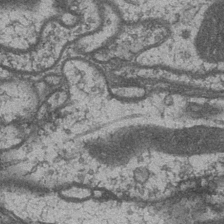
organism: Drosophila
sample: Optic medulla